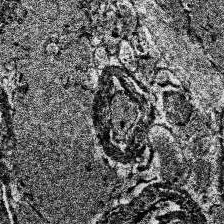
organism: Human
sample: Temporal Lobe